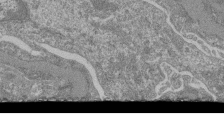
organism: Mouse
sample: Glomerulus